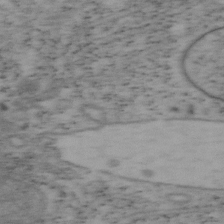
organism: Mouse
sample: OT-I killer T cells with ID8 ovarian cancer cells